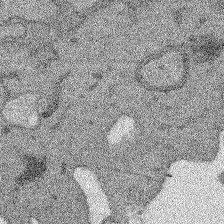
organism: Human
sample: HeLa cells